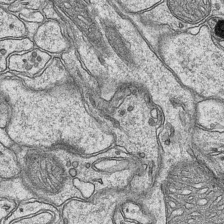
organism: Mouse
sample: CA1 Hippocampus